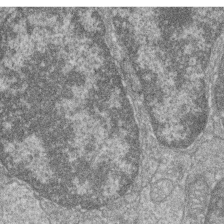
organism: Zebrafish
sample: Cilia; retinal pigment epithelium